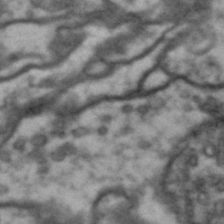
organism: Drosophila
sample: Brain